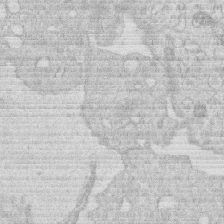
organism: Human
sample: Macrophage cells